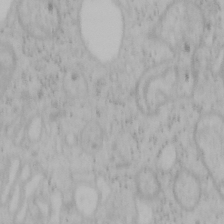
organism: Mouse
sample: OT-I killer T cells with ID8 ovarian cancer cells